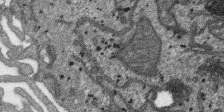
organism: Human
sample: Lung epithelial cells infected with SARS-CoV-2